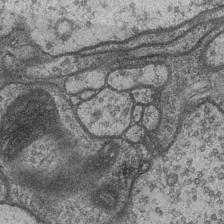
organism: Drosophila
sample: Optic medulla